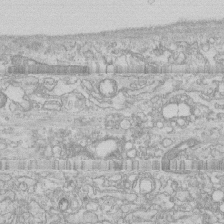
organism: Human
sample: CRL-1474